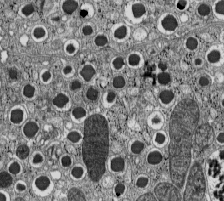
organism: C57BL Mouse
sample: Pancreatic islet